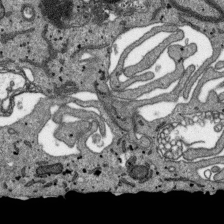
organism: Human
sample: Lung epithelial cells, uninfected (mock) control